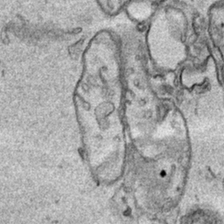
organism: Human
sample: Mitochondria in HCT116 cells